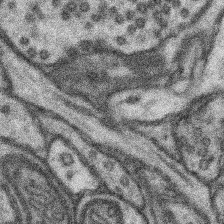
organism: Mouse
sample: Somatosensory cortex neuropil